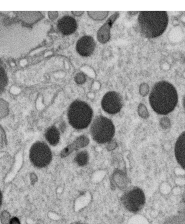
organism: C. elegans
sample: C. elegans oocyte; sperm cells